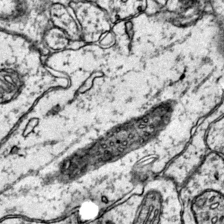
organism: Mouse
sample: Primary visual cortex